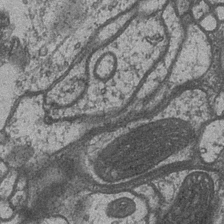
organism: Drosophila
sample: Optic medulla